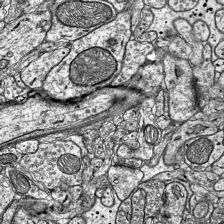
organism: Mouse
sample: Visual Cortex